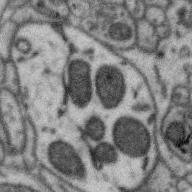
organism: Zebra finch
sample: Brain